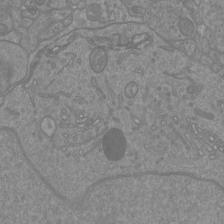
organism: Mouse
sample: Cortical neurons